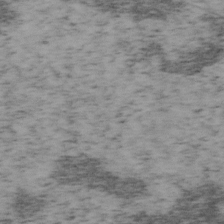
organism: Mouse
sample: OT-I killer T cells with ID8 ovarian cancer cells